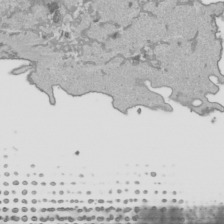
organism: Human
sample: Mitochondria in HCT116 cells